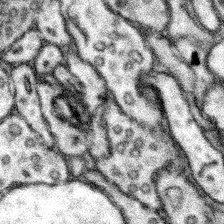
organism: Mouse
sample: Somatosensory cortex neuropil